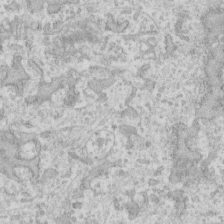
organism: Human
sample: Fibroblast cells